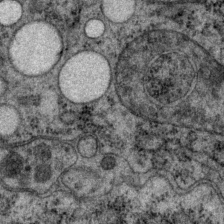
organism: P. pacificus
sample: Pharynx